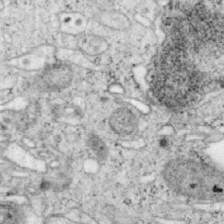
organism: Mouse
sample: OT-I killer T cells with ID8 ovarian cancer cells